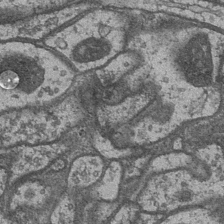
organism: Drosophila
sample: Optic medulla